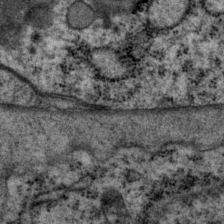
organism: P. pacificus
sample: Pharynx